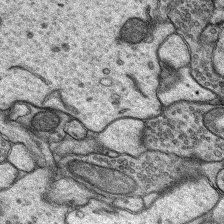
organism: Rat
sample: Hippocampus